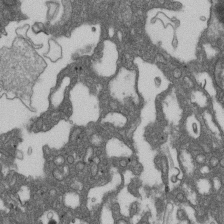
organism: Drosophila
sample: Nephrocyte